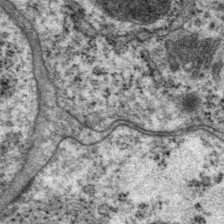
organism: P. pacificus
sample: Pharynx